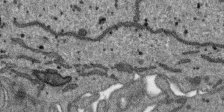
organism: Human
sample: Lung epithelial cells, uninfected (mock) control